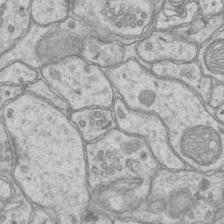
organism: Mouse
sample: CA1 Hippocampus